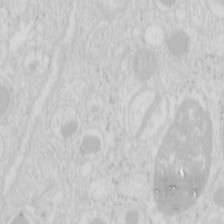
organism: Mouse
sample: Pancreas